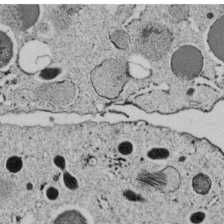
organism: C. elegans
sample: C. elegans embryo early stage